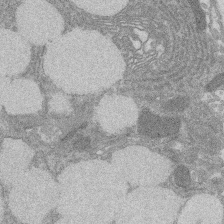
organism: Rat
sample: Salivary granule